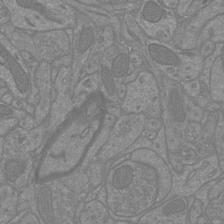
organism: Mouse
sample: Cortical neurons